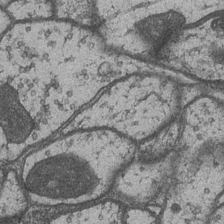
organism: Drosophila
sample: Optic medulla